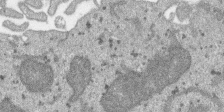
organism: Human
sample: Lung epithelial cells infected with SARS-CoV-2